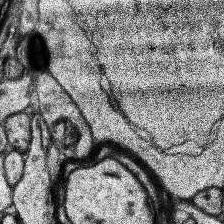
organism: Human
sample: Temporal Lobe